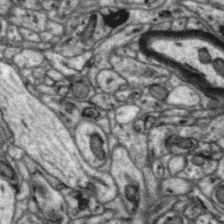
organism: Zebra finch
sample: Brain